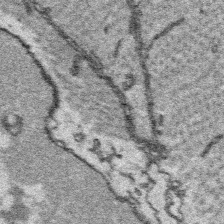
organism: Platynereis dumerilii